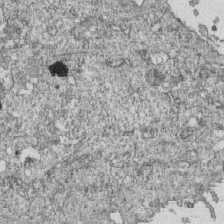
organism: Human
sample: HeLa cell HIV synapse